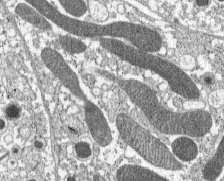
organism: C57BL Mouse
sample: Pancreatic islet